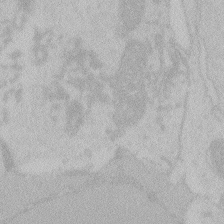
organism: Zebrafish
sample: Macrophage infected with Toxoplasma gondii